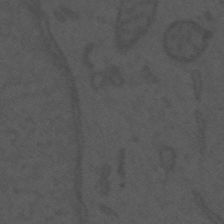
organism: Mouse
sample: Suprachiasmatic nucleus